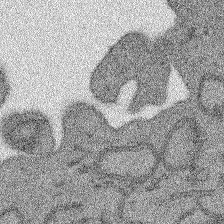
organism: Human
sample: HeLa cells